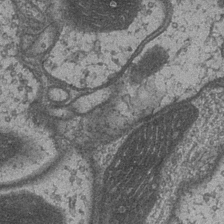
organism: Drosophila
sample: Optic medulla